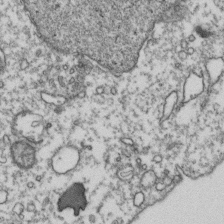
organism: Human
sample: Activated Jurkat CD4+ T cells